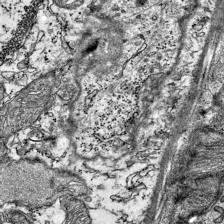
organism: Mouse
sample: Visual Cortex